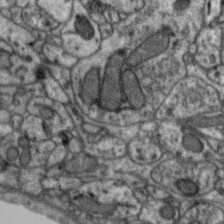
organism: Zebra finch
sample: Brain